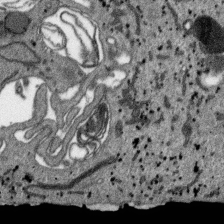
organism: Human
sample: Lung epithelial cells, uninfected (mock) control